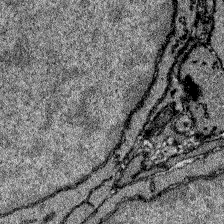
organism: Zebrafish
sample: Larval olfactory bulb